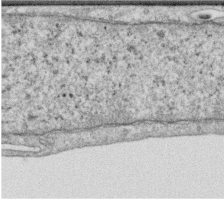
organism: Human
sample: Centriole in RPE cells